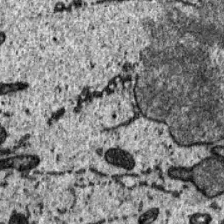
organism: Human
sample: HeLa cells